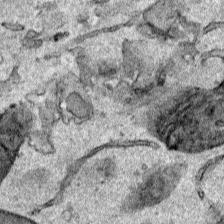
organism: Human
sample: Mitochondria in HCT116 cells